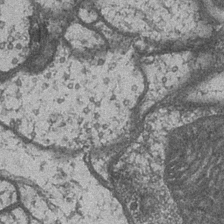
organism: Drosophila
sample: Optic medulla